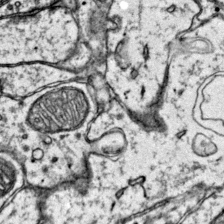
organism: Mouse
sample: Primary visual cortex